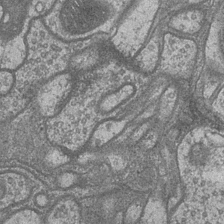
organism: Drosophila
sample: Optic medulla